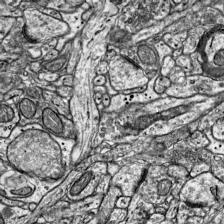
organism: Mouse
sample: Visual Cortex